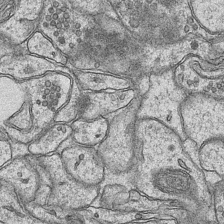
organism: Mouse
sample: CA1 Hippocampus